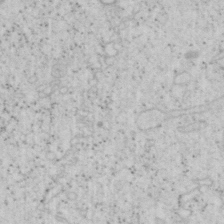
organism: Human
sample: HeLa cells